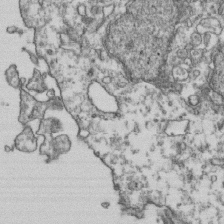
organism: Human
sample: Activated Jurkat CD4+ T cells